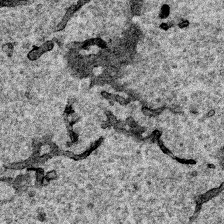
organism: Human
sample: Mitochondria in HCT116 cells